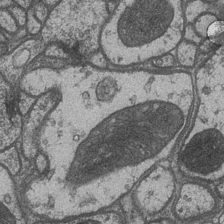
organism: Drosophila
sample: Optic medulla